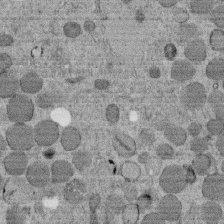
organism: C. elegans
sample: C. elegans embryo early stage